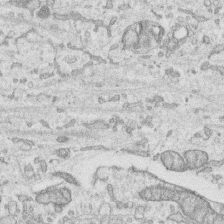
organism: Human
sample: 1205lu cells